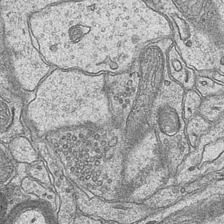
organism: Mouse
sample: CA1 Hippocampus